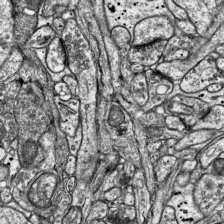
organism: Mouse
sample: Visual Cortex